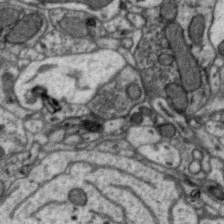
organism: Zebra finch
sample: Brain